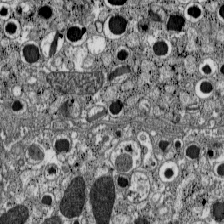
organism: C57BL Mouse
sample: Pancreatic islet